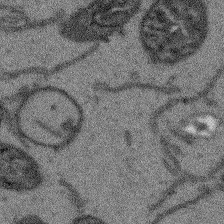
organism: Arabidopsis thaliana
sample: Root tip